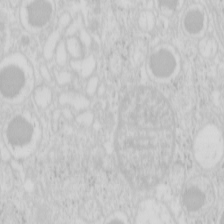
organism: Mouse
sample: Pancreas